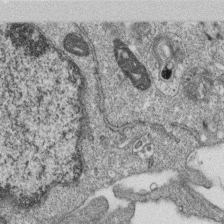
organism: African green monkey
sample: Vero E6 cells infected with SARS-CoV-2